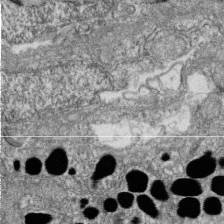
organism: Zebrafish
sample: Cilia; retinal pigment epithelium